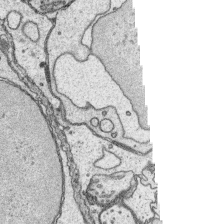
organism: Platynereis dumerilii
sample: Parapodia